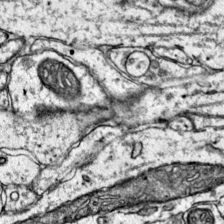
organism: Mouse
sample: Primary visual cortex